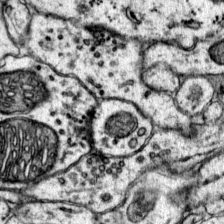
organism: Mouse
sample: Primary visual cortex